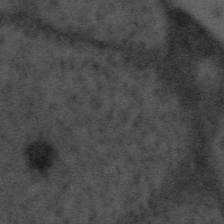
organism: Tuwongella immobilis